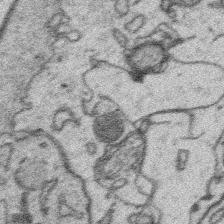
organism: Platynereis dumerilii